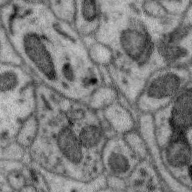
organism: Zebra finch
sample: Brain